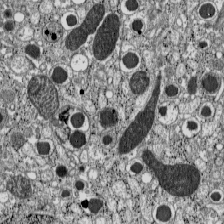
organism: C57BL Mouse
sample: Pancreatic islet